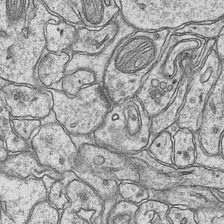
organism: Mouse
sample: CA1 Hippocampus